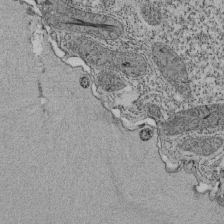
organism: Tetrahymena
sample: Cilia in tetrahymena